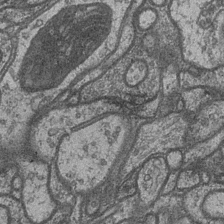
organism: Drosophila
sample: Optic medulla